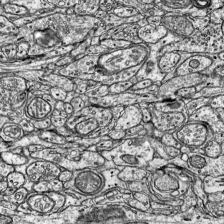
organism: Mouse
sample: Visual Cortex